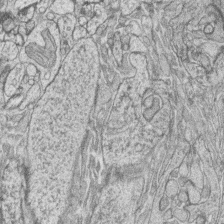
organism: Zebrafish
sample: synaptic ribbons in rod cells and cone cells